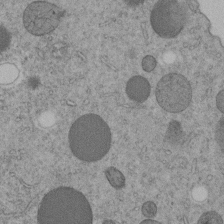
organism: C. elegans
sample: C. elegans embryo early stage